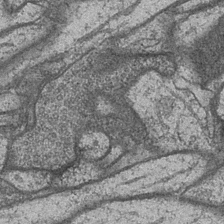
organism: Drosophila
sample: Optic medulla